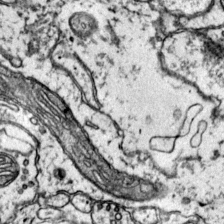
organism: Mouse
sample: Primary visual cortex